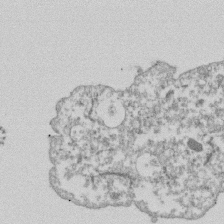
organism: Dictyostelium discoideum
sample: Dictyostelium multivesicular bodies